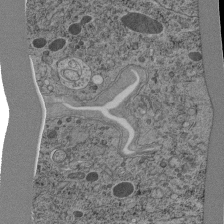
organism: C. elegans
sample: C. elegans pharynx